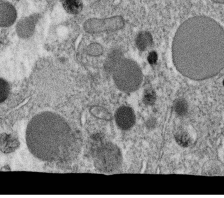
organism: C. elegans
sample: C. elegans oocyte; sperm cells